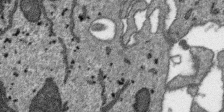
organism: Human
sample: Lung epithelial cells, uninfected (mock) control